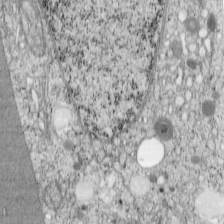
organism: African green monkey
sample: COS-7 cells